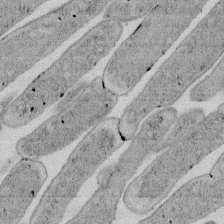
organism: E. coli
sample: Bacterial nucleoid